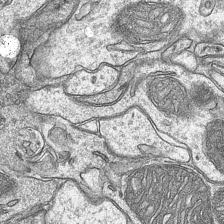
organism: Mouse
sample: CA1 Hippocampus